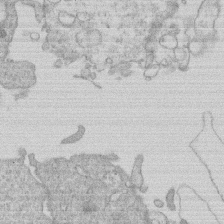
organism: Human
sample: Macrophage cells